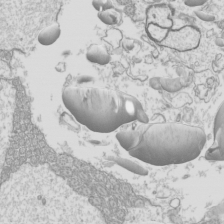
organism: Mouse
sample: Cilia; mouse epididymis